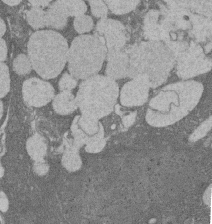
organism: Rat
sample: Salivary granule